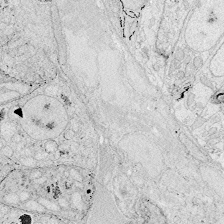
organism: Zebrafish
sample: Whole-Brain